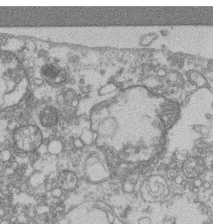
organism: Mouse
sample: T cell stromal cell synapse